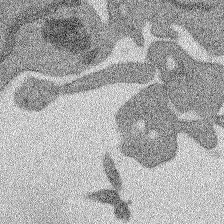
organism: Human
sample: HeLa cells